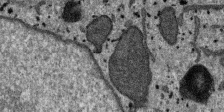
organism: Human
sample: Lung epithelial cells, uninfected (mock) control